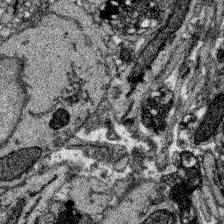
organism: Zebrafish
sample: Larval olfactory bulb